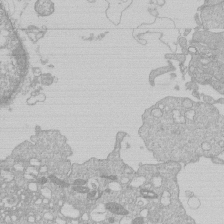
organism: Human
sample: Macrophage cells